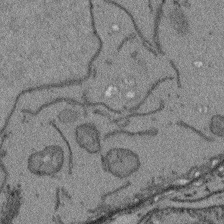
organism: Arabidopsis thaliana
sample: Root tip